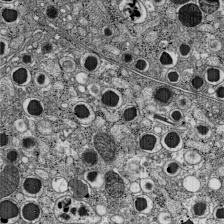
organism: C57BL Mouse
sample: Pancreatic islet